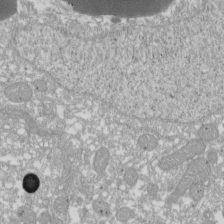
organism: Xenopus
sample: Cilia; centrioles in frog embryo cells